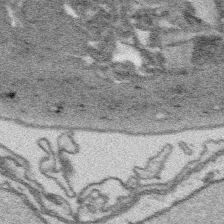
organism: Platynereis dumerilii